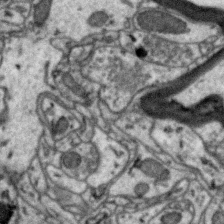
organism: Zebra finch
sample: Brain